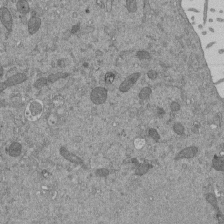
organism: Mouse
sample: ED-1 cell nuclei; centrioles